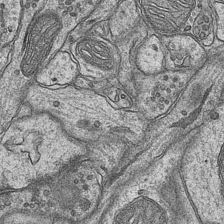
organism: Mouse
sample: CA1 Hippocampus